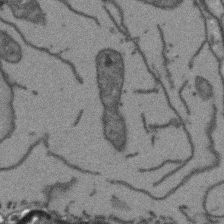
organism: Arabidopsis thaliana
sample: Root tip